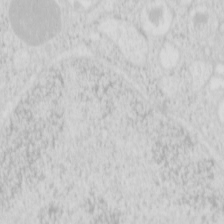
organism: Mouse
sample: Pancreas